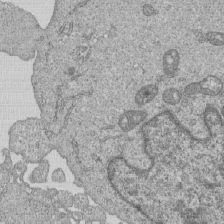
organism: Human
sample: MDA-MB-231 cells